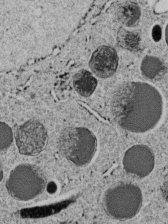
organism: C. elegans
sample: C. elegans embryo early stage